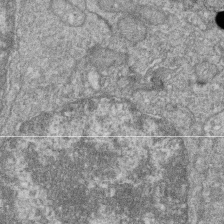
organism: Zebrafish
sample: Cilia; retinal pigment epithelium